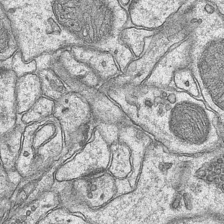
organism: Mouse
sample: CA1 Hippocampus